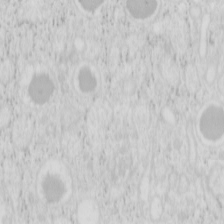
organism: Mouse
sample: Pancreas